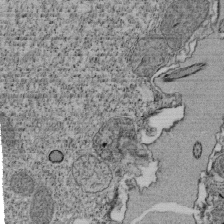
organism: Tetrahymena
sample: Cilia in tetrahymena